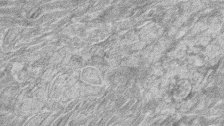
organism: Zebrafish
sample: synaptic ribbons in rod cells and cone cells